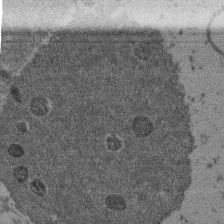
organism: Mouse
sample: Dividing mouse embryo 1 cell stage